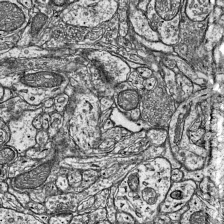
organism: Mouse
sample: Visual Cortex